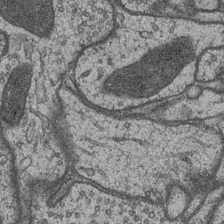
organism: Drosophila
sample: Optic medulla